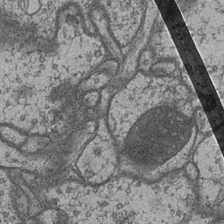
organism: Drosophila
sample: Optic medulla